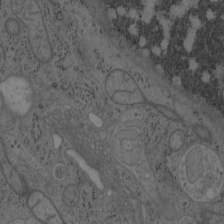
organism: Mouse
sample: OT-I killer T cells with ID8 ovarian cancer cells